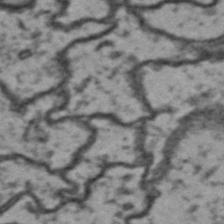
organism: Drosophila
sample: Brain